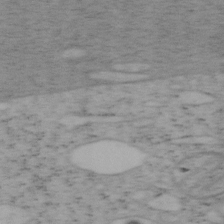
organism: Mouse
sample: OT-I killer T cells with ID8 ovarian cancer cells